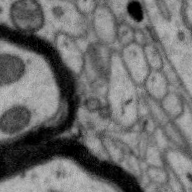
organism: Zebra finch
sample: Brain